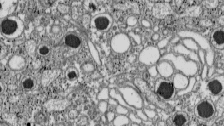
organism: C57BL Mouse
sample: Pancreatic islet